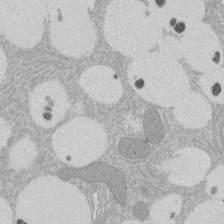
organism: Rat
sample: Salivary granule